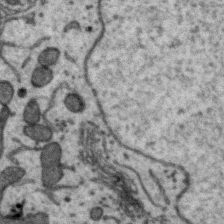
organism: Zebra finch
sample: Brain